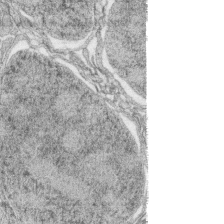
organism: Zebrafish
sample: synaptic ribbons in rod cells and cone cells